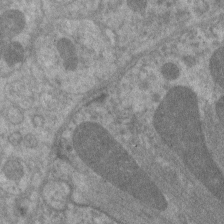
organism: C. elegans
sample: Pharynx